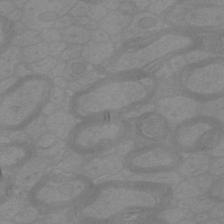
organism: Mouse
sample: Cortical neurons